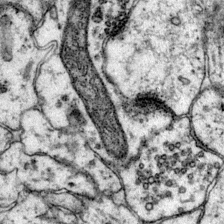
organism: Mouse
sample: Primary visual cortex